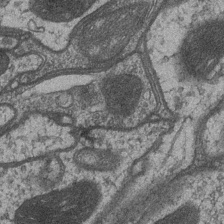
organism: Drosophila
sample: Optic medulla